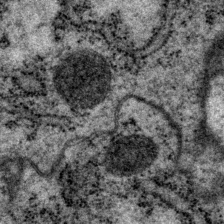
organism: P. pacificus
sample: Pharynx